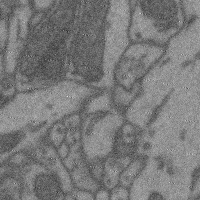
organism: Mouse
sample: Cerebral cortex